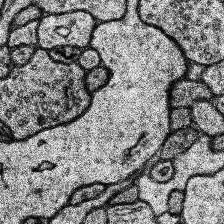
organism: Human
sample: Temporal Lobe